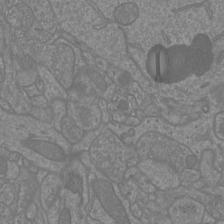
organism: Mouse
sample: Cortical neurons